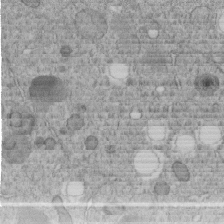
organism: C. elegans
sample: C. elegans embryo early stage